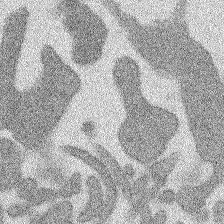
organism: Human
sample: HeLa cells